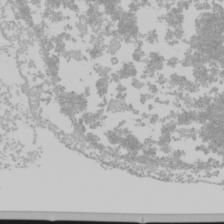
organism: Mouse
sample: Cancer cell death in ED-1 cells